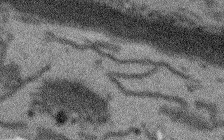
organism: Arabidopsis thaliana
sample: Root tip